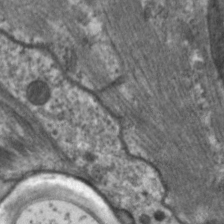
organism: C. elegans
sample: Pharynx